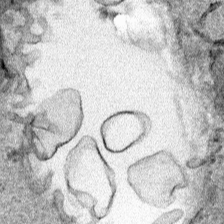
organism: Human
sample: Mitochondria in HCT116 cells